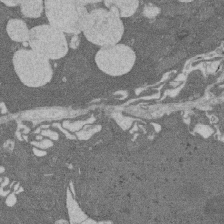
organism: Rat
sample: Salivary granule